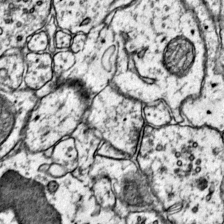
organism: Mouse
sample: Primary visual cortex